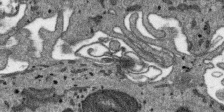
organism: Human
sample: Lung epithelial cells, uninfected (mock) control